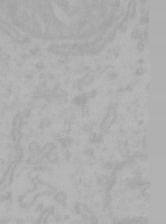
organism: Mouse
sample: Choroid plexus